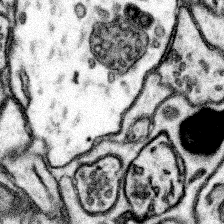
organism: Mouse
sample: Somatosensory cortex neuropil